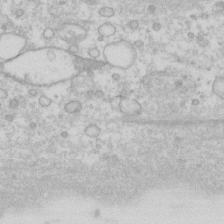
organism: Human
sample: Fibroblast cells